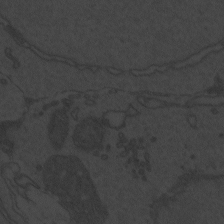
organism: Zebrafish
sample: Macrophage infected with Toxoplasma gondii